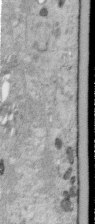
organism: Human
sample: Centriole in RPE cells